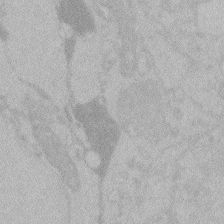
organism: Zebrafish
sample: Macrophage infected with Toxoplasma gondii